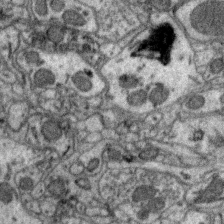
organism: Zebra finch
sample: Brain